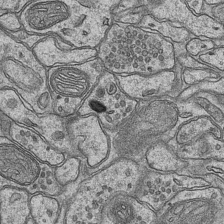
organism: Mouse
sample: CA1 Hippocampus